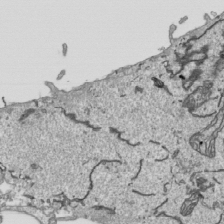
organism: Human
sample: Mitochondria in HCT116 cells